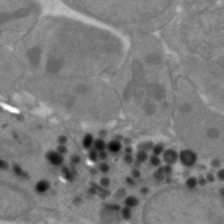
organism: Zebrafish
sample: Zebrafish embryo